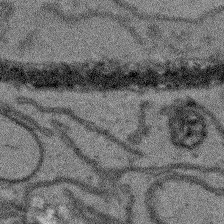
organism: Arabidopsis thaliana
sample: Root tip